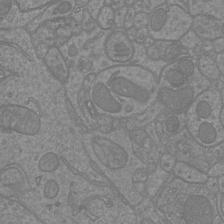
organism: Mouse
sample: Cortical neurons